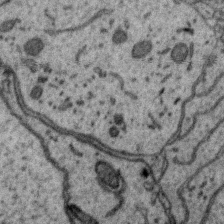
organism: Zebra finch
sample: Brain